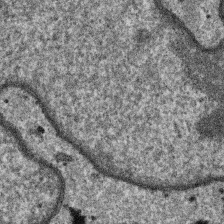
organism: Human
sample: Lung epithelial cells infected with SARS-CoV-2